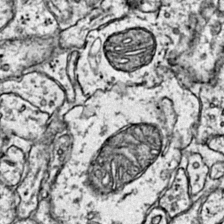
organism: Mouse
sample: Primary visual cortex